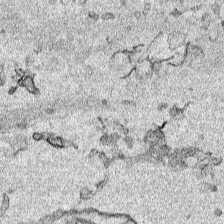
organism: Human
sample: Mitochondria in HCT116 cells